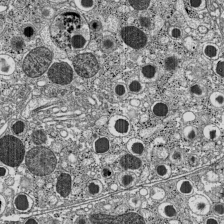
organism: C57BL Mouse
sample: Pancreatic islet